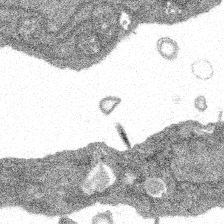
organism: Spongilla lacustris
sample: Multiple